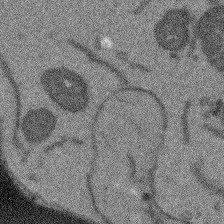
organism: Arabidopsis thaliana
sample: Root tip